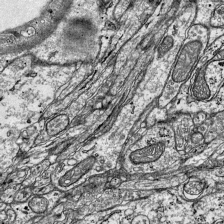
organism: Mouse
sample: Visual Cortex